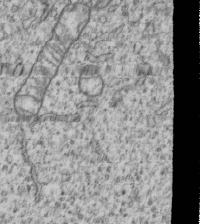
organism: Human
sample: MDA-MB-231 cells